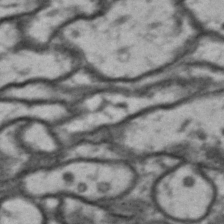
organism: Drosophila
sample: Brain